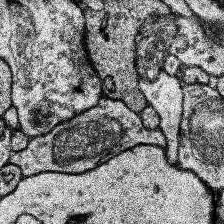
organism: Human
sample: Temporal Lobe